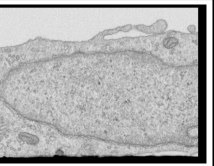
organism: Human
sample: Centriole in RPE cells